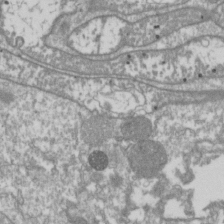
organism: Drosophila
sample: Cell division; meiosis; drosophila spermatocytes